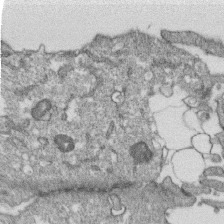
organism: African green monkey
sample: Vero E6 cells infected with SARS-CoV-2